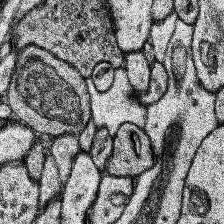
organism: Human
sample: Temporal Lobe